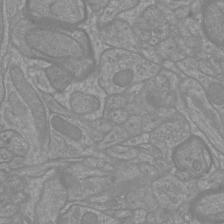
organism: Mouse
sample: Cortical neurons